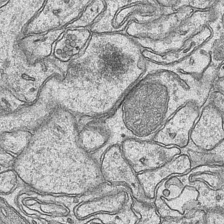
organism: Mouse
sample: CA1 Hippocampus